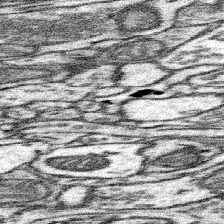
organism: Mouse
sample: Somatosensory cortex neuropil